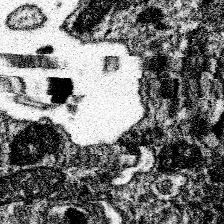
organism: Spongilla lacustris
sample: Neuroid cell